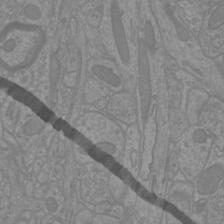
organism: Mouse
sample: Cortical neurons